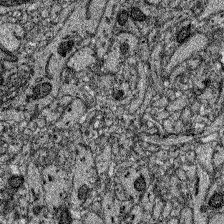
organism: Zebrafish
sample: Larval olfactory bulb